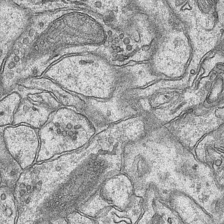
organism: Mouse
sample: CA1 Hippocampus